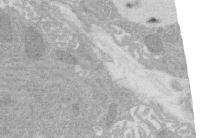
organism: Rat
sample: Salivary granule